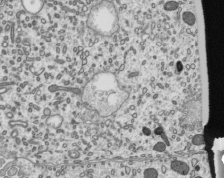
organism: Mouse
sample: Mouse epididymis efferent ductule cilia